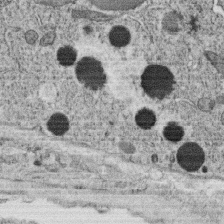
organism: C. elegans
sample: C. elegans oocyte; sperm cells